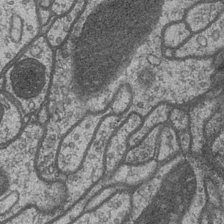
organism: Drosophila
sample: Optic medulla